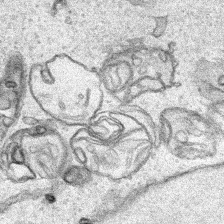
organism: Human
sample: Mitochondria in HCT116 cells